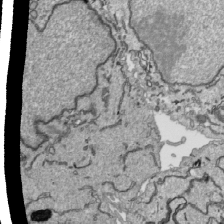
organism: Human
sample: Mitochondria in HCT116 cells